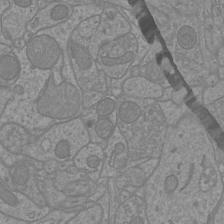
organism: Mouse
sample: Cortical neurons